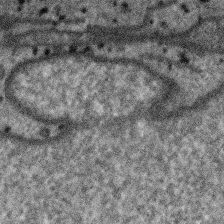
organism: Human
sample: Lung epithelial cells infected with SARS-CoV-2